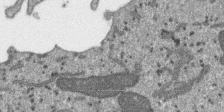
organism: Human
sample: Lung epithelial cells infected with SARS-CoV-2